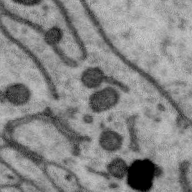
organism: Zebra finch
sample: Brain